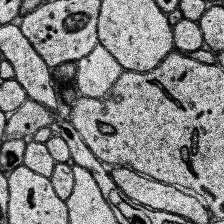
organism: Human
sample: Temporal Lobe